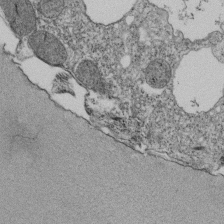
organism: Tetrahymena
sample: Cilia in tetrahymena